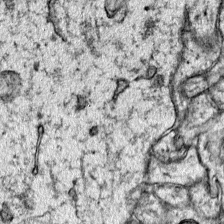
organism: Mouse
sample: Primary visual cortex